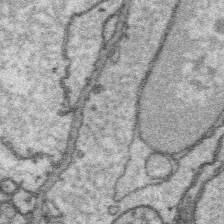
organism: Platynereis dumerilii